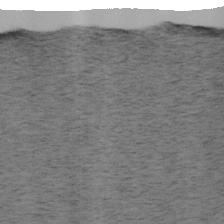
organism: Mouse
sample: OT-I killer T cells with ID8 ovarian cancer cells